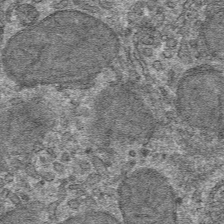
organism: Mouse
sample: Mouse hepatocytes